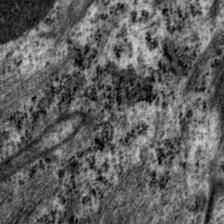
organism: P. pacificus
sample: Pharynx